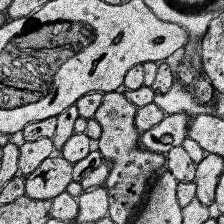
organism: Human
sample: Temporal Lobe